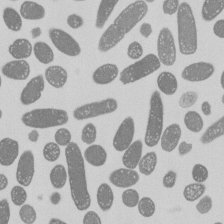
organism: E. coli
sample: Bacterial nucleoid